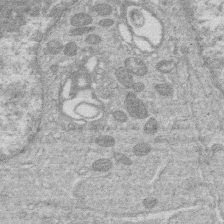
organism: Human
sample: Macrophage cells